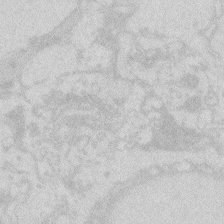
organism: Zebrafish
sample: Macrophage